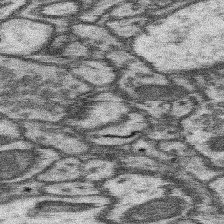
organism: Mouse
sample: Somatosensory cortex neuropil